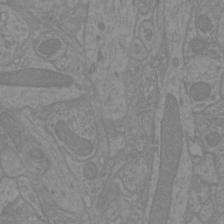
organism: Mouse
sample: Cortical neurons